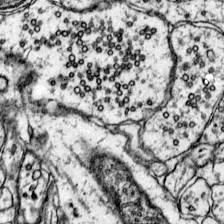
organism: Mouse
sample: Primary visual cortex